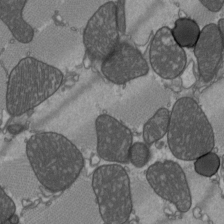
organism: C57BL Mouse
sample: Heart